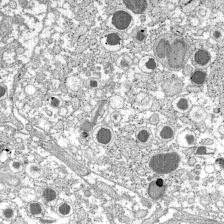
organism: C57BL Mouse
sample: Pancreatic islet